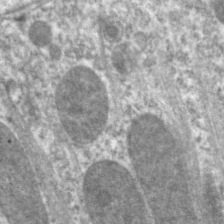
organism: C. elegans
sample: Pharynx